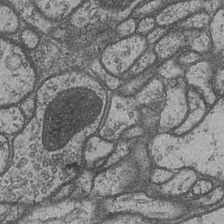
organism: Drosophila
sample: Optic medulla